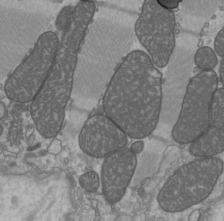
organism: C57BL Mouse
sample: Heart